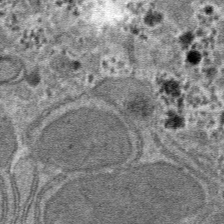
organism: Mouse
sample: Mouse hepatocytes